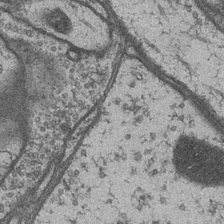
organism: Drosophila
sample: Optic medulla